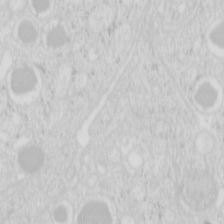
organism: Mouse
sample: Pancreas